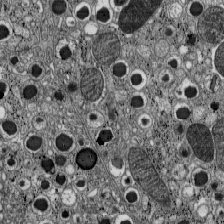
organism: C57BL Mouse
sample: Pancreatic islet